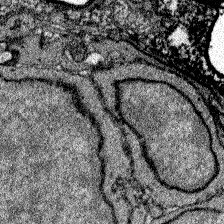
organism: Zebrafish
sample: Larval olfactory bulb